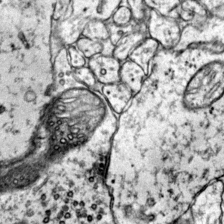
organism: Mouse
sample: Primary visual cortex